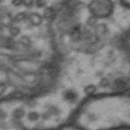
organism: Drosophila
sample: Brain